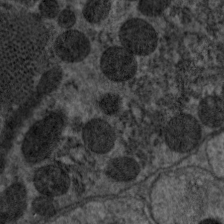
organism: C. elegans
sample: Pharynx